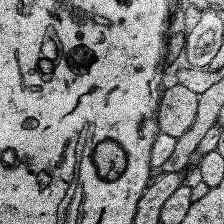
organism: Human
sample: Temporal Lobe